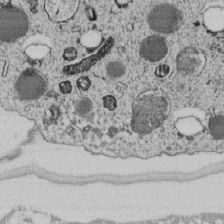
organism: C. elegans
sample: C. elegans embryo early stage